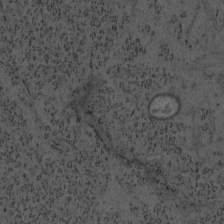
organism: Mouse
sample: OT-I killer T cells with ID8 ovarian cancer cells